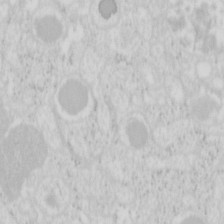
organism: Mouse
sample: Pancreas